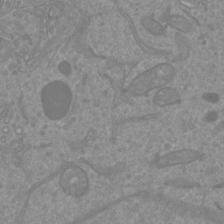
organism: Mouse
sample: Cortical neurons